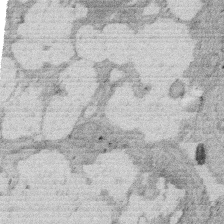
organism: Rat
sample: Salivary granule